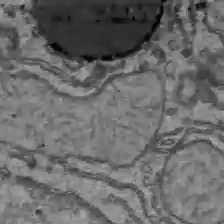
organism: C57BL Mouse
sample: Liver